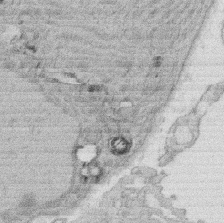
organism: Rat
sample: Salivary granule